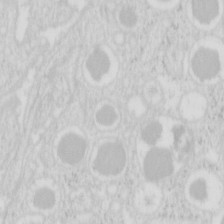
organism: Mouse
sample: Pancreas